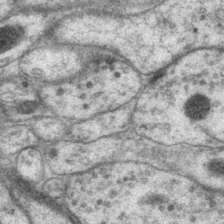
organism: P. pacificus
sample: Pharynx